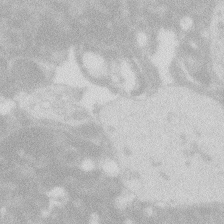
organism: Zebrafish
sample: Macrophage